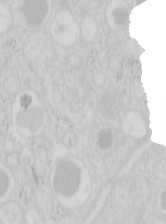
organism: Mouse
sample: Pancreas